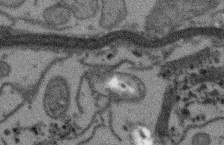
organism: Arabidopsis thaliana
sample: Root tip